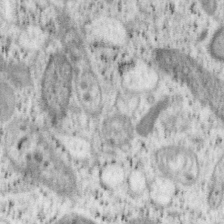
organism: Mouse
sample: OT-I killer T cells with ID8 ovarian cancer cells